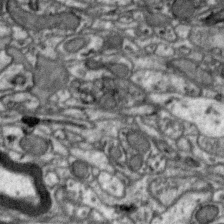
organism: Zebra finch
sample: Brain